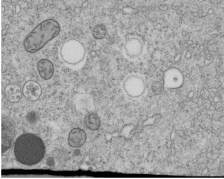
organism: C. elegans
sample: C. elegans embryo early stage